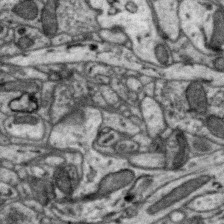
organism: Zebra finch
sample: Brain